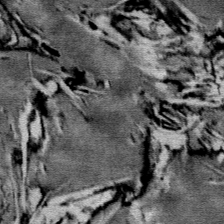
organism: Mouse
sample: Mouse Salivary gland